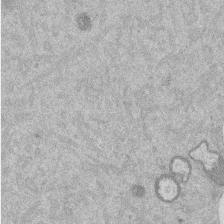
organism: Mouse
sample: Dividing mouse embryo 1 cell stage